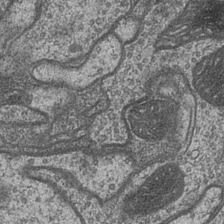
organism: Drosophila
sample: Optic medulla